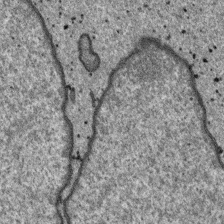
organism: Human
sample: Lung epithelial cells, uninfected (mock) control